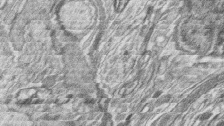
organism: Zebrafish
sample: synaptic ribbons in rod cells and cone cells